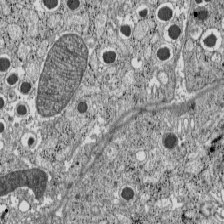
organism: C57BL Mouse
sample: Pancreatic islet